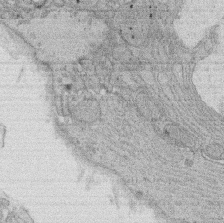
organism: Rat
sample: Salivary granule